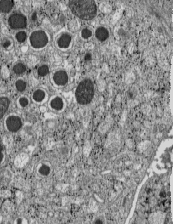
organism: C57BL Mouse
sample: Pancreatic islet